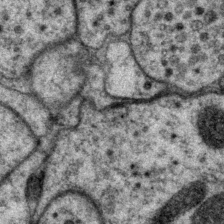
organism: P. pacificus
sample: Pharynx